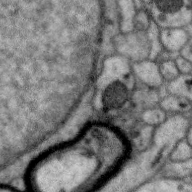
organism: Zebra finch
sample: Brain